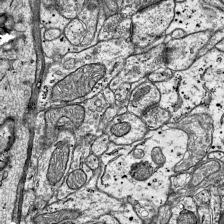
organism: Mouse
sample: Visual Cortex